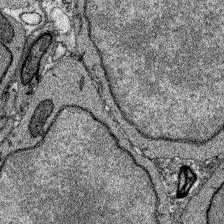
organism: Zebrafish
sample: Larval olfactory bulb